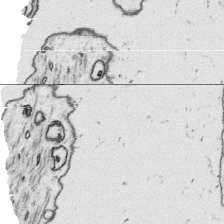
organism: Platynereis dumerilii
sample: Parapodia